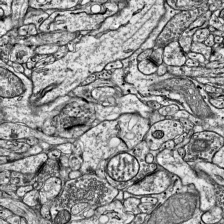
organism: Mouse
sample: Visual Cortex